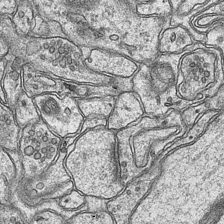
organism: Mouse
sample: CA1 Hippocampus